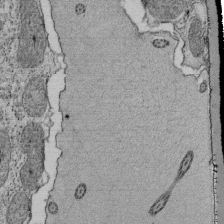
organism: Tetrahymena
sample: Cilia in tetrahymena